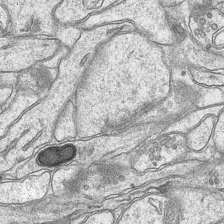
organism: Mouse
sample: CA1 Hippocampus